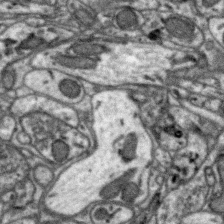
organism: Zebra finch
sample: Brain